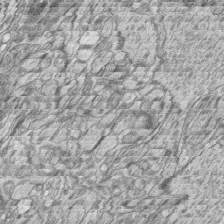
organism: Zebrafish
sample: synaptic ribbons in rod cells and cone cells